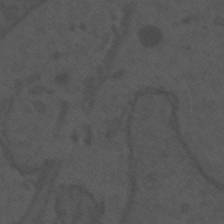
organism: Mouse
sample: Suprachiasmatic nucleus